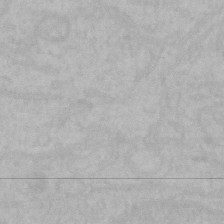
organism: Mouse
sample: Choroid plexus